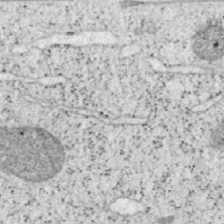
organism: Mouse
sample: OT-I killer T cells with ID8 ovarian cancer cells